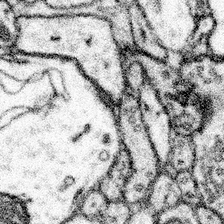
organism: Mouse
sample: Somatosensory cortex neuropil